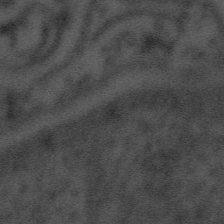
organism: Tuwongella immobilis